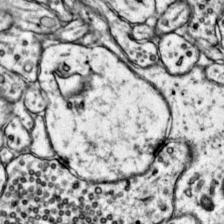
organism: Mouse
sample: Primary visual cortex